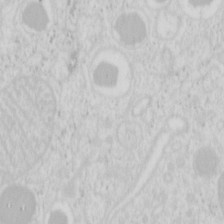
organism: Mouse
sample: Pancreas